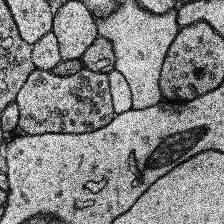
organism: Human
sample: Temporal Lobe